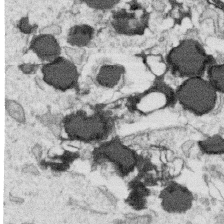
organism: Human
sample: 1205lu cells